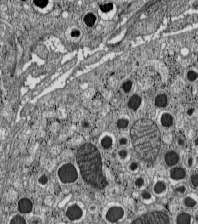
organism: C57BL Mouse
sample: Pancreatic islet